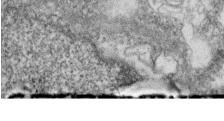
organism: Zebrafish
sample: Cilia; retinal pigment epithelium